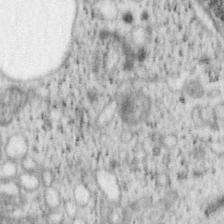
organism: Mouse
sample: OT-I killer T cells with ID8 ovarian cancer cells